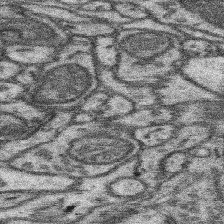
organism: Mouse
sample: Somatosensory cortex neuropil